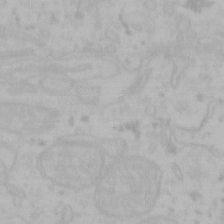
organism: Mouse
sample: Choroid plexus